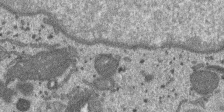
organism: Human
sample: Lung epithelial cells infected with SARS-CoV-2